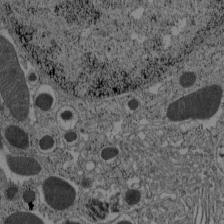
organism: C57BL Mouse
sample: Pancreatic islet